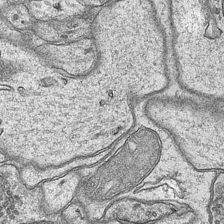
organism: Mouse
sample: CA1 Hippocampus